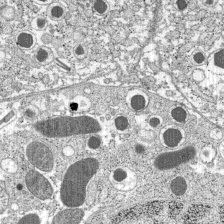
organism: C57BL Mouse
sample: Pancreatic islet